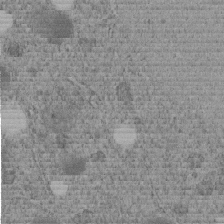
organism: C. elegans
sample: C. elegans embryo early stage